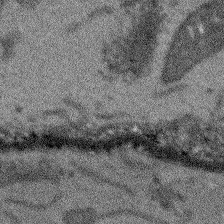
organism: Arabidopsis thaliana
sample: Root tip